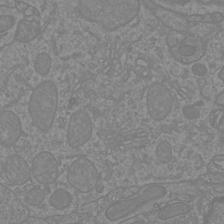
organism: Mouse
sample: Cortical neurons